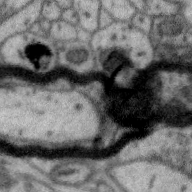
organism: Zebra finch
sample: Brain